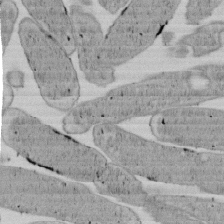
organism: E. coli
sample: Bacterial nucleoid